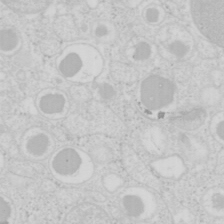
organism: Mouse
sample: Pancreas